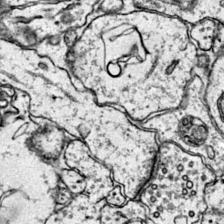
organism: Mouse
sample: Primary visual cortex